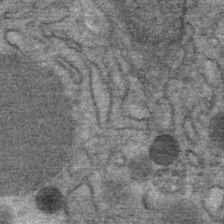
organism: Mouse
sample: Mouse Salivary gland